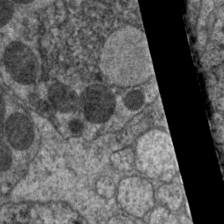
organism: C. elegans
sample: Pharynx